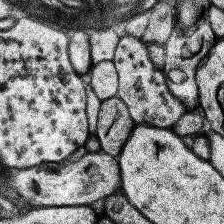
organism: Human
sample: Temporal Lobe